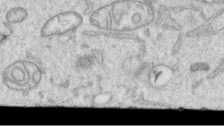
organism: Human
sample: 1205lu cells